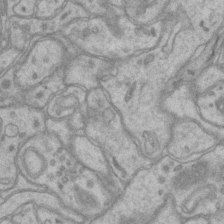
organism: Mouse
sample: CA1 Hippocampus